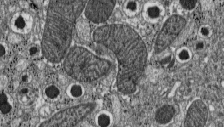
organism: C57BL Mouse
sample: Pancreatic islet